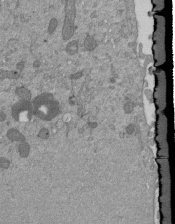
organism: Mouse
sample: ED-1 cell nuclei; centrioles